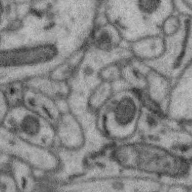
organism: Zebra finch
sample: Brain